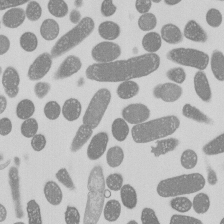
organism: E. coli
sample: Bacterial nucleoid